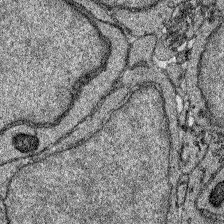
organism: Zebrafish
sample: Larval olfactory bulb